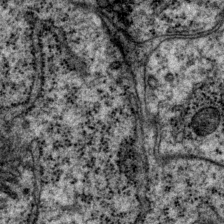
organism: P. pacificus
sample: Pharynx